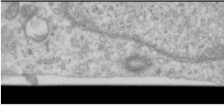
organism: Human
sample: Cilia; basal body in RPE cells